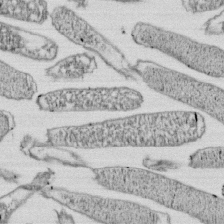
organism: E. coli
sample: Bacterial nucleoid